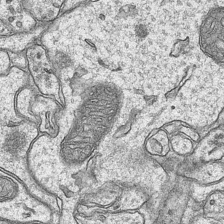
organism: Mouse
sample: CA1 Hippocampus